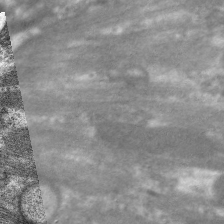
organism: C. elegans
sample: Pharynx